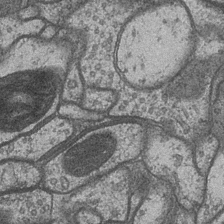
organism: Drosophila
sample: Optic medulla